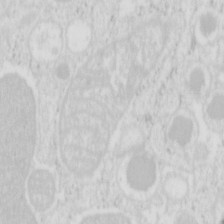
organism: Mouse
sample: Pancreas